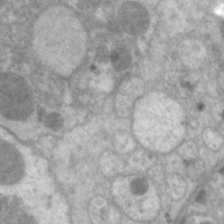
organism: C. elegans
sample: Pharynx